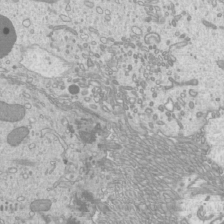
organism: Mouse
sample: Cilia; mouse epididymis